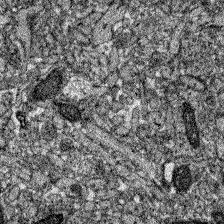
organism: Zebrafish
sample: Larval olfactory bulb